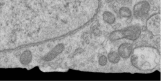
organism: Human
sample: Centriole in RPE cells